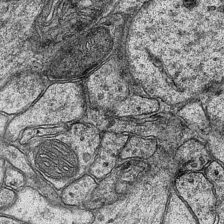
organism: Mouse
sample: CA1 Hippocampus